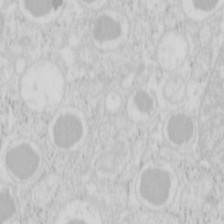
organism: Mouse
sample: Pancreas